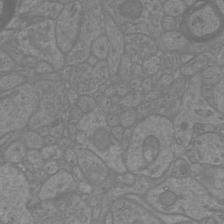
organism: Mouse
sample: Cortical neurons